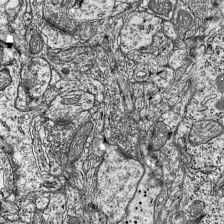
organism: Mouse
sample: Visual Cortex